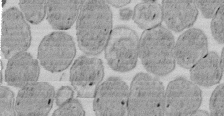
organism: E. coli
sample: Bacterial nucleoid